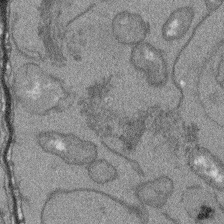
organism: Arabidopsis thaliana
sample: Root tip